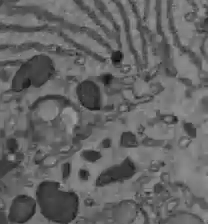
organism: C57BL Mouse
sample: Liver